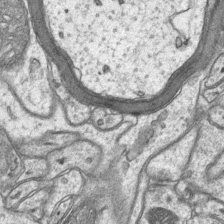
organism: Mouse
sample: CA1 Hippocampus